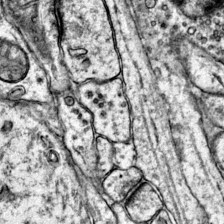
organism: Mouse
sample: Primary visual cortex